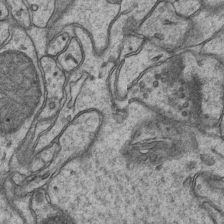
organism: Mouse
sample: CA1 Hippocampus